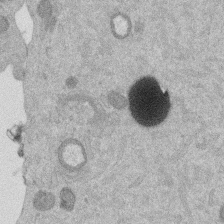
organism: Mouse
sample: Dividing mouse embryo 1 cell stage